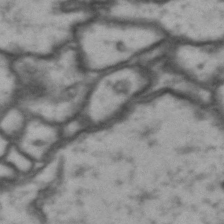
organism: Drosophila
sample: Brain